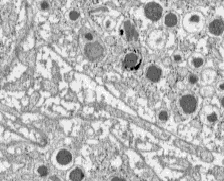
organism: C57BL Mouse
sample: Pancreatic islet